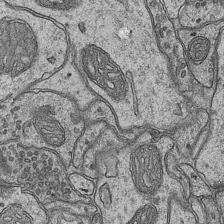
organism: Mouse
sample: CA1 Hippocampus